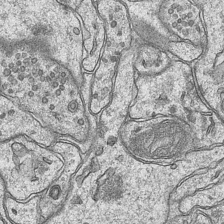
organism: Mouse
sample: CA1 Hippocampus